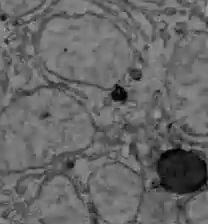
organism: C57BL Mouse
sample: Liver